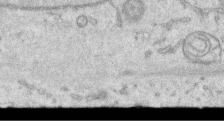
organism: Human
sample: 1205lu cells